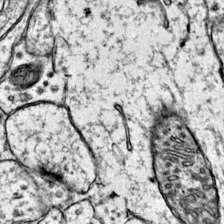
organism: Mouse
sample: Primary visual cortex